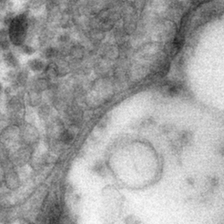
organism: Mouse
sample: Mouse hepatocytes